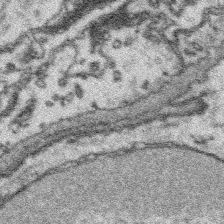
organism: Platynereis dumerilii